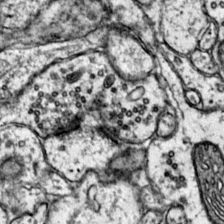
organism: Mouse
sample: Primary visual cortex